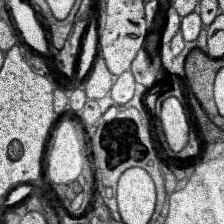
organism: Human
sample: Temporal Lobe